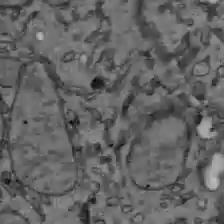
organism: C57BL Mouse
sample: Liver